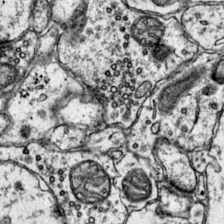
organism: Mouse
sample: Primary visual cortex